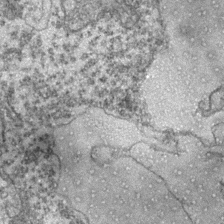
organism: Zebrafish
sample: Zebrafish embryo